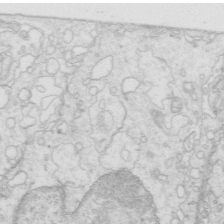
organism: Mouse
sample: Multiciliated cells